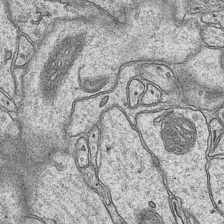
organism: Mouse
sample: CA1 Hippocampus